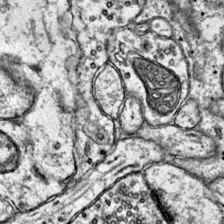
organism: Mouse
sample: Primary visual cortex